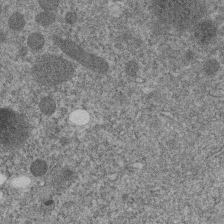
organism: C. elegans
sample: C. elegans embryo early stage